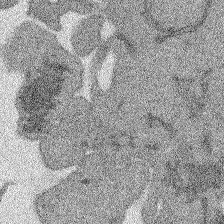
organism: Human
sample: HeLa cells